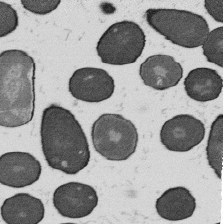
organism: B. subtilis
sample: Bacterial spore